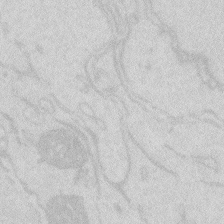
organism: Zebrafish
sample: Macrophage